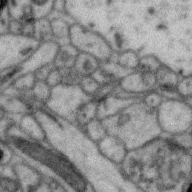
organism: Zebra finch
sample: Brain